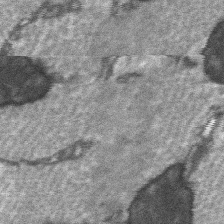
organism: C57BL Mouse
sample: Soleus